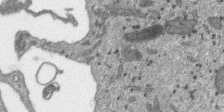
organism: Human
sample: Lung epithelial cells infected with SARS-CoV-2